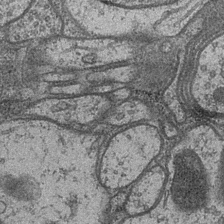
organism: Drosophila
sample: Optic medulla